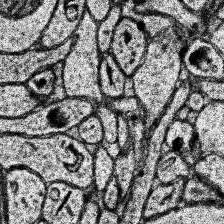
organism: Human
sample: Temporal Lobe